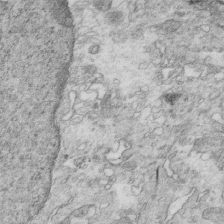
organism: Mouse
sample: Multiciliated cells